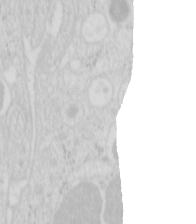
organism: Mouse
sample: Pancreas